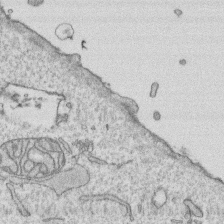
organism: Human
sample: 1205lu cells